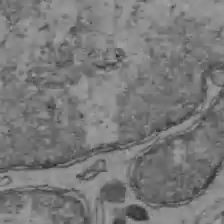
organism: C57BL Mouse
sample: Liver